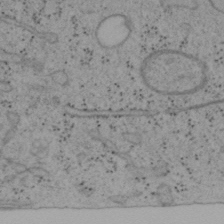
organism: Human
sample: HeLa cells